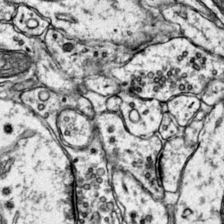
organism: Mouse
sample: Primary visual cortex